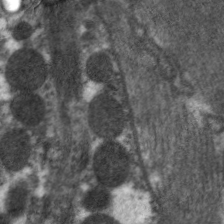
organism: C. elegans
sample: Pharynx